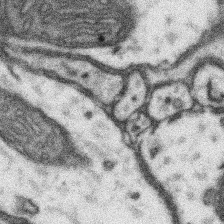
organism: Mouse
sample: Somatosensory cortex neuropil